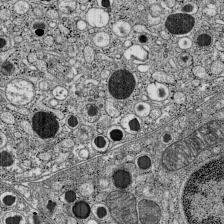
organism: C57BL Mouse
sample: Pancreatic islet